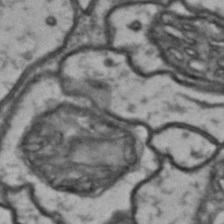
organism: Drosophila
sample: Brain